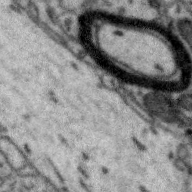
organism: Zebra finch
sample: Brain